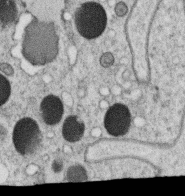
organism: C. elegans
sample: C. elegans oocyte; sperm cells